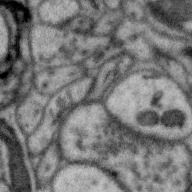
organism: Zebra finch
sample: Brain